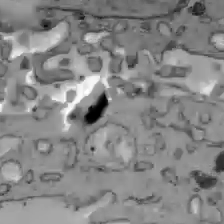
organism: C57BL Mouse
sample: Liver